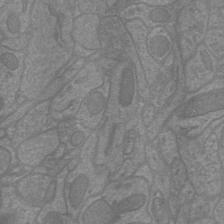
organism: Mouse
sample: Cortical neurons